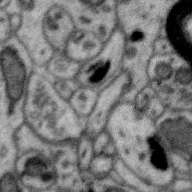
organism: Zebra finch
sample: Brain